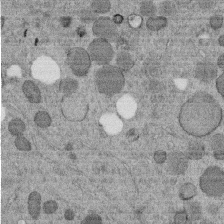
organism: C. elegans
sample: C. elegans embryo early stage